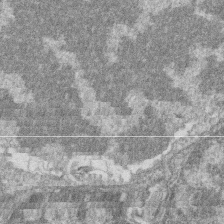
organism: Zebrafish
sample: Cilia; retinal pigment epithelium